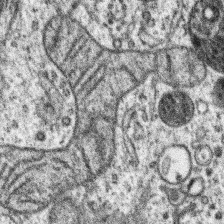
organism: Human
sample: HeLa cells